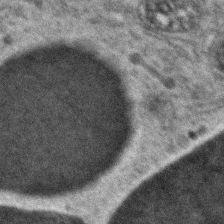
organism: Zebrafish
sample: Zebrafish embryo